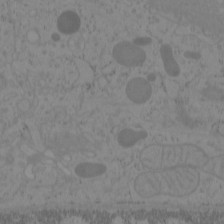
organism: Human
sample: HeLa cells